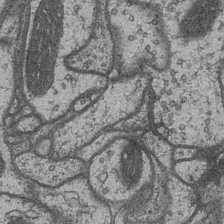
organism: Drosophila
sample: Optic medulla